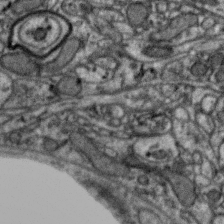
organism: Zebra finch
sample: Brain